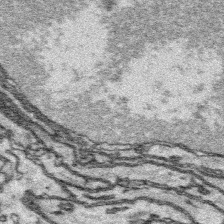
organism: Platynereis dumerilii